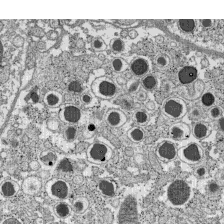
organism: C57BL Mouse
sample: Pancreatic islet